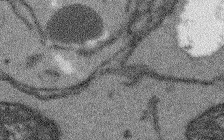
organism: Arabidopsis thaliana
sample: Root tip